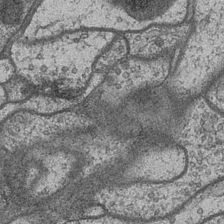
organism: Drosophila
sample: Optic medulla